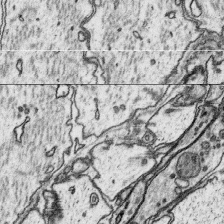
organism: Platynereis dumerilii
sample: Parapodia